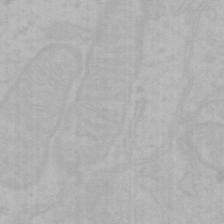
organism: Mouse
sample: Choroid plexus